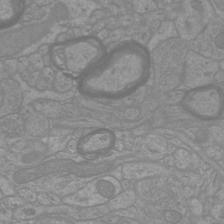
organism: Mouse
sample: Cortical neurons